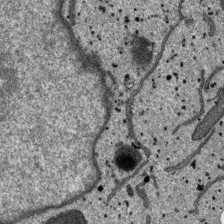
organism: Human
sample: Lung epithelial cells, uninfected (mock) control